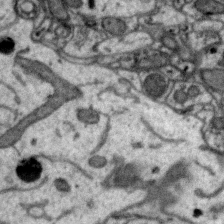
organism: Zebra finch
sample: Brain